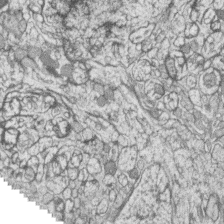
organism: Zebrafish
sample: synaptic ribbons in rod cells and cone cells